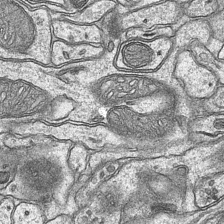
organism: Mouse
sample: CA1 Hippocampus